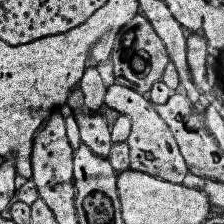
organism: Human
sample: Temporal Lobe